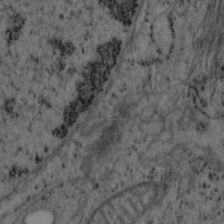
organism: Human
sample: HeLa cells